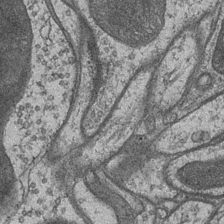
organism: Drosophila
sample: Optic medulla